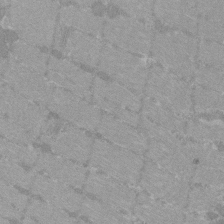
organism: C57BL Mouse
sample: Tibialis anterior muscle cell